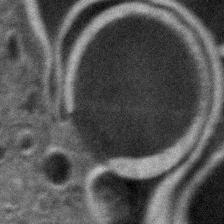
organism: Zebrafish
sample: Zebrafish embryo